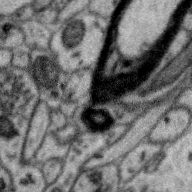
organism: Zebra finch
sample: Brain